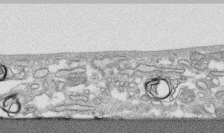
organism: Human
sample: CRL-1474